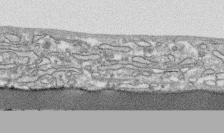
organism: Human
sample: CRL-1474